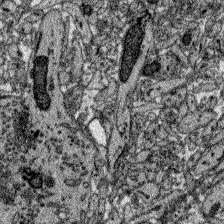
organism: Zebrafish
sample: Larval olfactory bulb